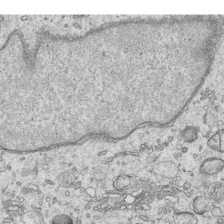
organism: Human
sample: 1205lu cells